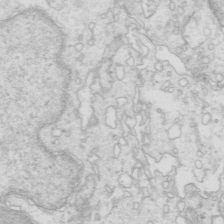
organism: Mouse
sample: Multiciliated cells